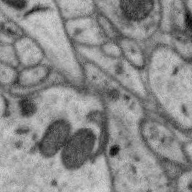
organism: Zebra finch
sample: Brain